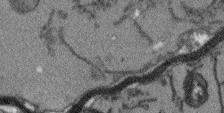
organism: Arabidopsis thaliana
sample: Root tip